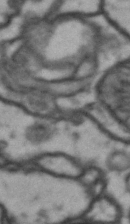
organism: Drosophila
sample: Brain